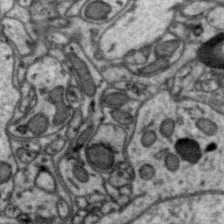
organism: Zebra finch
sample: Brain